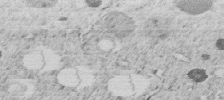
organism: C. elegans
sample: C. elegans embryo early stage